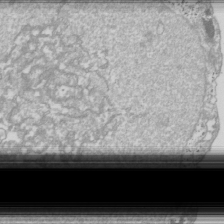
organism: Drosophila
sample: Cell division; meiosis; drosophila spermatocytes